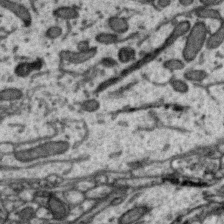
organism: Zebra finch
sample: Brain